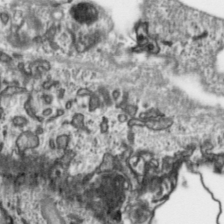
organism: Toxoplasma gondii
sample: Parasites in a vacuole inside a host cell